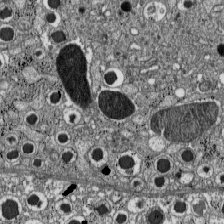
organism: C57BL Mouse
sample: Pancreatic islet